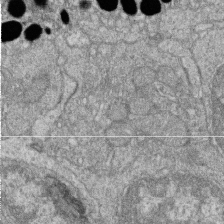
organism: Zebrafish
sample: Cilia; retinal pigment epithelium